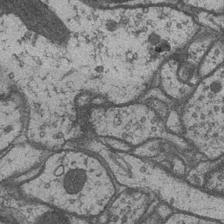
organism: Drosophila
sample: Optic medulla